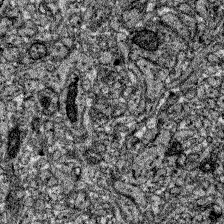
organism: Zebrafish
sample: Larval olfactory bulb